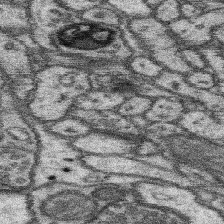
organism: Mouse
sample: Somatosensory cortex neuropil